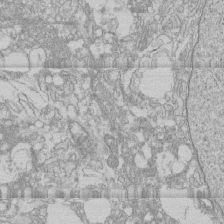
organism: Human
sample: CRL-1474